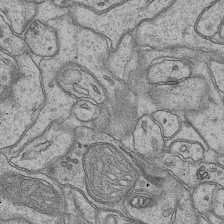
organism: Mouse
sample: CA1 Hippocampus